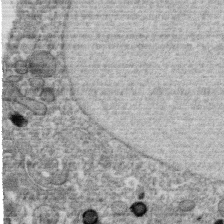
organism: C. elegans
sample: C. elegans oocyte; sperm cells